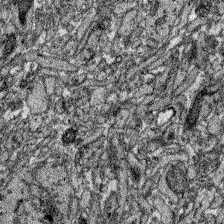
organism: Zebrafish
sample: Larval olfactory bulb